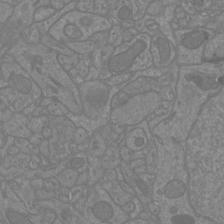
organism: Mouse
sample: Cortical neurons